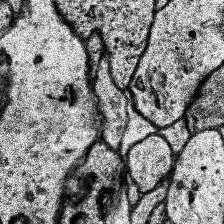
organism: Human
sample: Temporal Lobe